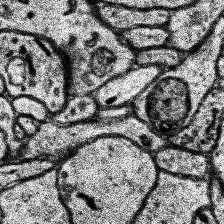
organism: Human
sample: Temporal Lobe